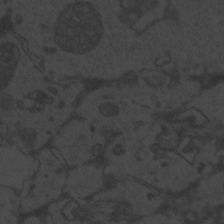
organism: Zebrafish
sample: Macrophage infected with Toxoplasma gondii